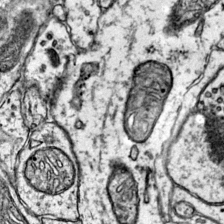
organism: Mouse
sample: Primary visual cortex